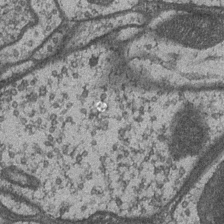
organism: Drosophila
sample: Optic medulla